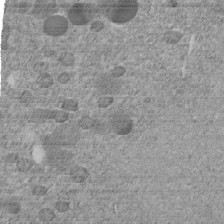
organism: C. elegans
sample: C. elegans embryo early stage